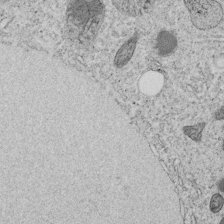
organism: C. elegans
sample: C. elegans embryo early stage